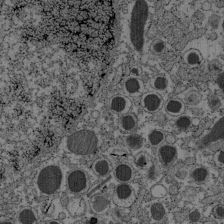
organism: C57BL Mouse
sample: Pancreatic islet